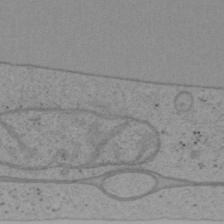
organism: Human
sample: HeLa cells